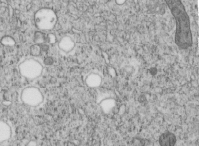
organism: C. elegans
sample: C. elegans embryo early stage